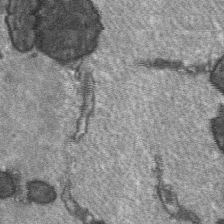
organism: C57BL Mouse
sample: Soleus